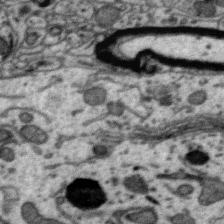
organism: Zebra finch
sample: Brain